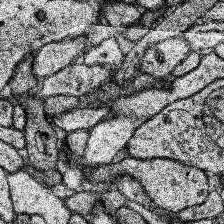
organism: Human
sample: Temporal Lobe